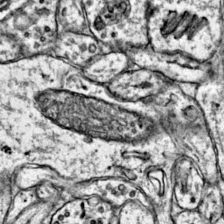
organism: Mouse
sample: Primary visual cortex